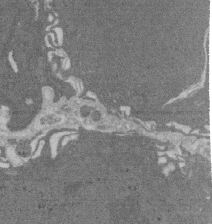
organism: Rat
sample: Salivary granule